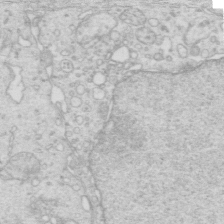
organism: Mouse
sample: Multiciliated cells